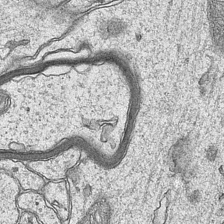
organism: Mouse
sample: CA1 Hippocampus